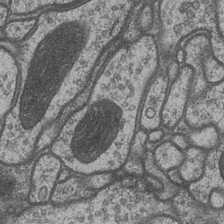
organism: Drosophila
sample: Optic medulla